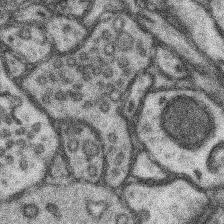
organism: Mouse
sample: Somatosensory cortex neuropil